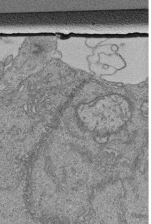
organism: Human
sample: Retinal organoid Rod and Cone cells